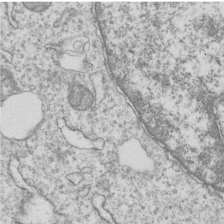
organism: Human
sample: MDA-MB-231 cells